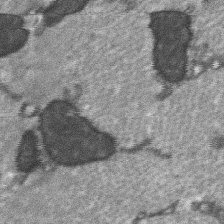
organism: C57BL Mouse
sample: Soleus